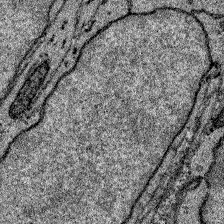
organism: Zebrafish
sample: Larval olfactory bulb